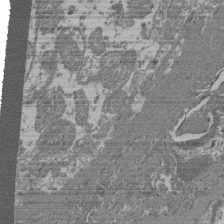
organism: Mouse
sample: Glomerulus